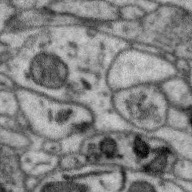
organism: Zebra finch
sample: Brain